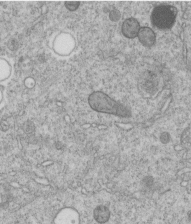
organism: C. elegans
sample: C. elegans embryo early stage